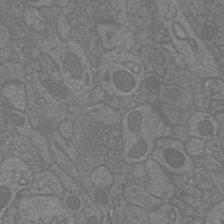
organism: Mouse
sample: Cortical neurons